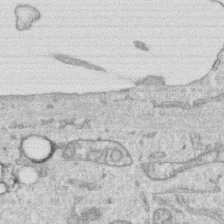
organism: Human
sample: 1205lu cells